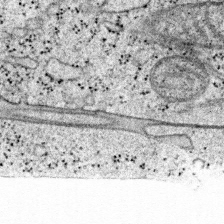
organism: Human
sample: HeLa cells